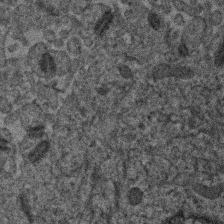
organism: Human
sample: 1205lu cells